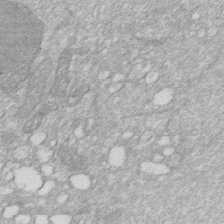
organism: Human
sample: HIV infected U937 cells